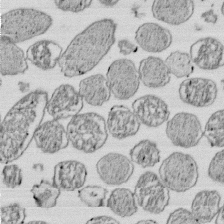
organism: E. coli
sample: Bacterial nucleoid